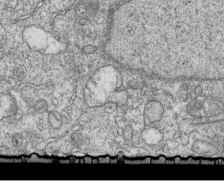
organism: Human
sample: HeLa cell HIV synapse